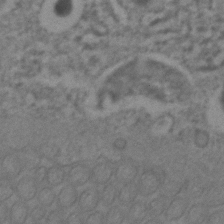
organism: C. elegans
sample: C. elegans embryo